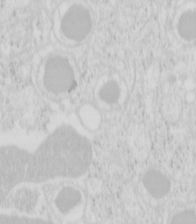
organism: Mouse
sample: Pancreas